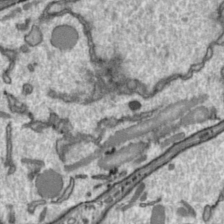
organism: Toxoplasma gondii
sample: Parasites in a vacuole inside a host cell